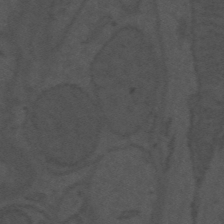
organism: Mouse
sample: Suprachiasmatic nucleus